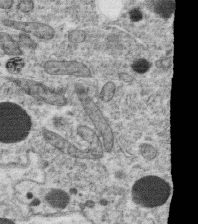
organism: C. elegans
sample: C. elegans oocyte; sperm cells